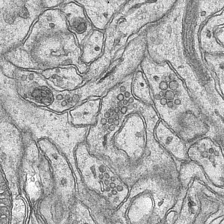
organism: Mouse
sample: CA1 Hippocampus